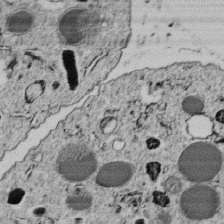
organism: C. elegans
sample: C. elegans embryo early stage